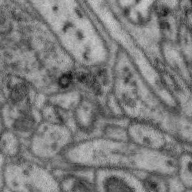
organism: Zebra finch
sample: Brain